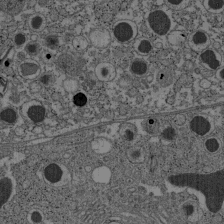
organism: C57BL Mouse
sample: Pancreatic islet